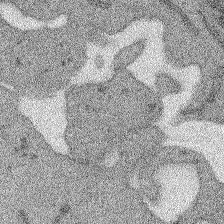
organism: Human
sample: HeLa cells